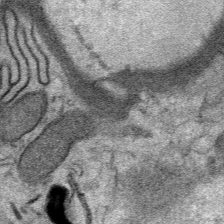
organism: Mouse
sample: Mouse Salivary gland